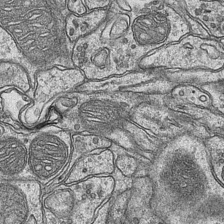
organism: Mouse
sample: CA1 Hippocampus